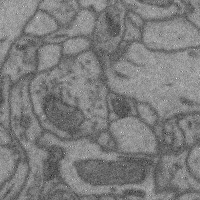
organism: Mouse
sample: Cerebral cortex